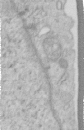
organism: Human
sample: Centriole in RPE cells